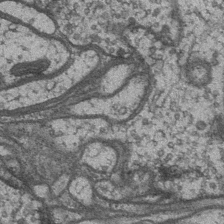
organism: Drosophila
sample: Optic medulla